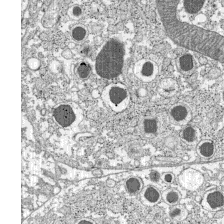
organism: C57BL Mouse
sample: Pancreatic islet